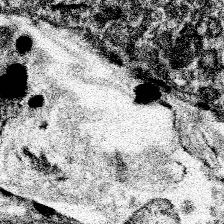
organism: Spongilla lacustris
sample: Neuroid cell